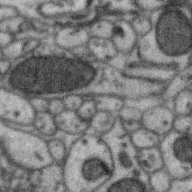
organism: Zebra finch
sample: Brain